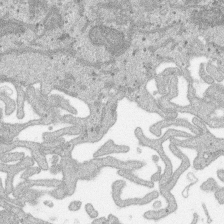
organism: Human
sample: Lung epithelial cells infected with SARS-CoV-2